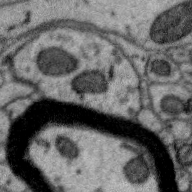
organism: Zebra finch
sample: Brain